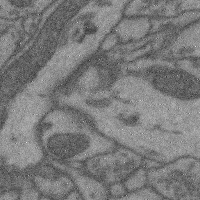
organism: Mouse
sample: Cerebral cortex